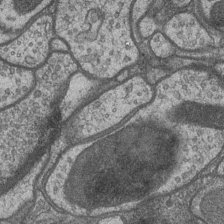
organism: Drosophila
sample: Optic medulla